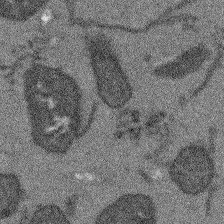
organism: Arabidopsis thaliana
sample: Root tip